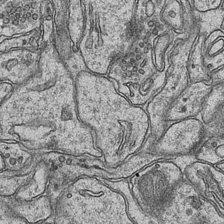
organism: Mouse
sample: CA1 Hippocampus